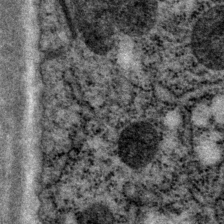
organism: P. pacificus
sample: Pharynx